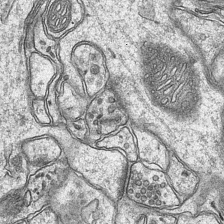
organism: Mouse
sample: CA1 Hippocampus